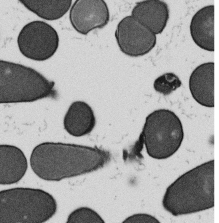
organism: B. subtilis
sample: Bacterial spore